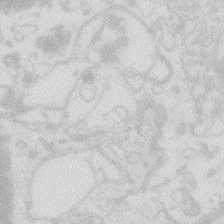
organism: Zebrafish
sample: Macrophage